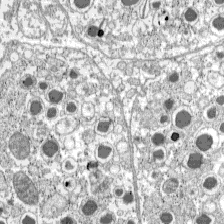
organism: C57BL Mouse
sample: Pancreatic islet